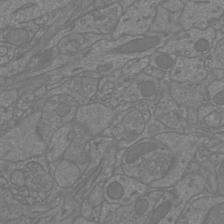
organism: Mouse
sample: Cortical neurons